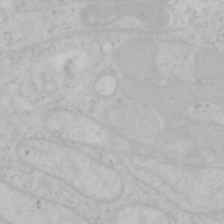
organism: Mouse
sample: OT-I killer T cells with ID8 ovarian cancer cells